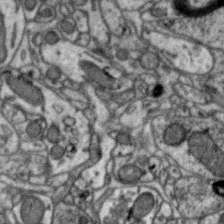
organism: Zebra finch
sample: Brain